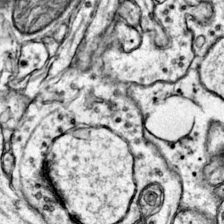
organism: Mouse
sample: Primary visual cortex